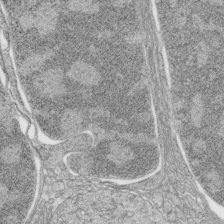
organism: Zebrafish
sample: synaptic ribbons in rod cells and cone cells